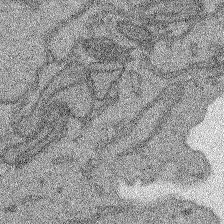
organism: Human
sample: HeLa cells